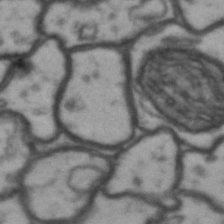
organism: Drosophila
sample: Brain